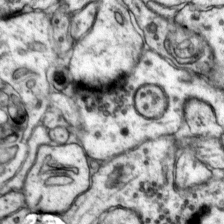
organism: Mouse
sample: Primary visual cortex